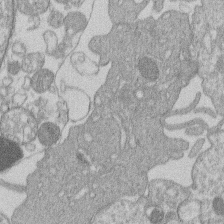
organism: Human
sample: Macrophage cells